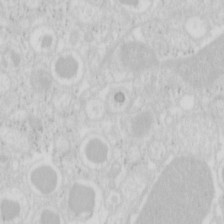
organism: Mouse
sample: Pancreas